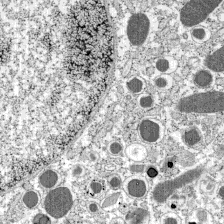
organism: C57BL Mouse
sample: Pancreatic islet